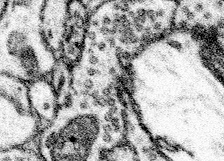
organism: Mouse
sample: Somatosensory cortex neuropil